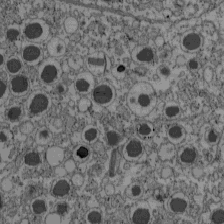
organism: C57BL Mouse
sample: Pancreatic islet